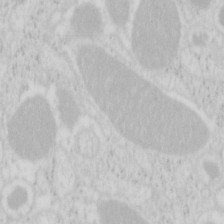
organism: Mouse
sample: Pancreas